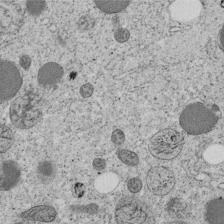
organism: C. elegans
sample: C. elegans embryo early stage